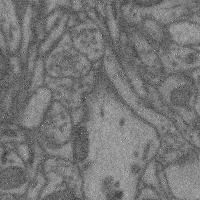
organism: Mouse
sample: Cerebral cortex